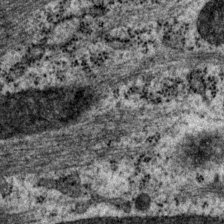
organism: P. pacificus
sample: Pharynx